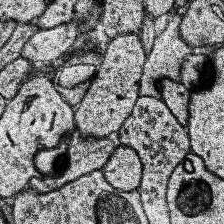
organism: Human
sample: Temporal Lobe